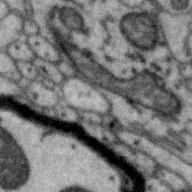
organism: Zebra finch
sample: Brain